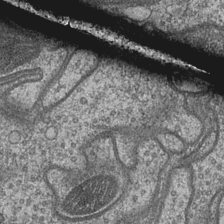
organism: Drosophila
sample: Optic medulla